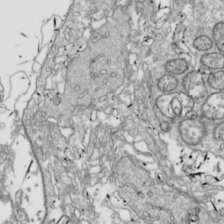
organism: Drosophila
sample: Cell division; meiosis; drosophila spermatocytes